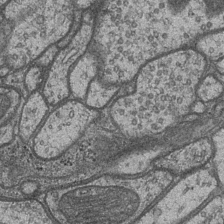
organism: Drosophila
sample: Optic medulla